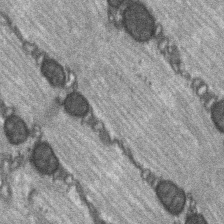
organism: C57BL Mouse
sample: Soleus